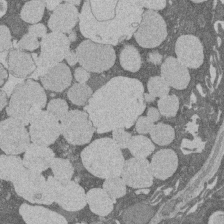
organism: Rat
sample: Salivary granule